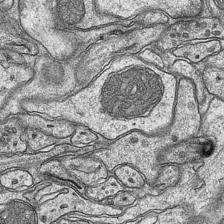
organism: Mouse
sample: CA1 Hippocampus